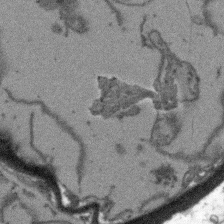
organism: Arabidopsis thaliana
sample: Root tip